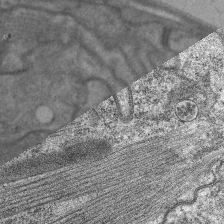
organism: C. elegans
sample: Pharynx